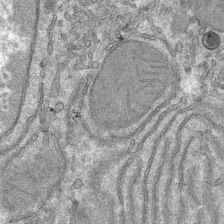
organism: Mouse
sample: Mouse hepatocytes